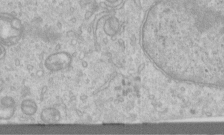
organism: Human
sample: Centriole in RPE cells